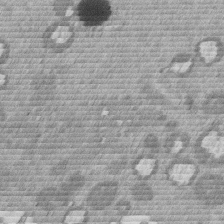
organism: Mouse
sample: Dividing mouse embryo 1 cell stage